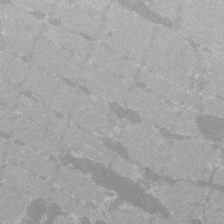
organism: C57BL Mouse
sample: Tibialis anterior muscle cell